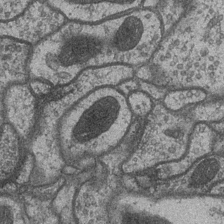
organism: Drosophila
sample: Optic medulla